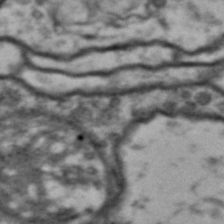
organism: Drosophila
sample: Brain